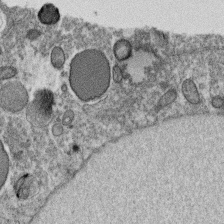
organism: C. elegans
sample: C. elegans oocyte; sperm cells